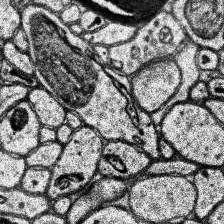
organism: Human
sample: Temporal Lobe